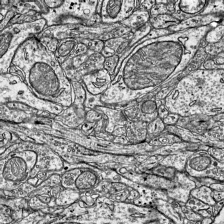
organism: Mouse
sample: Visual Cortex